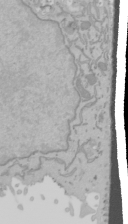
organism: Mouse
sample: Cancer cell death in ED-1 cells